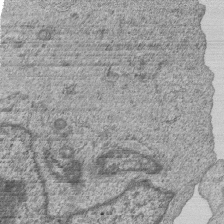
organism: Human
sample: MDA-MB-231 cells